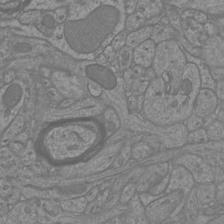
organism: Mouse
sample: Cortical neurons